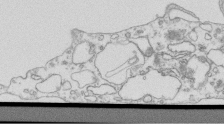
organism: Mouse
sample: Macrophages